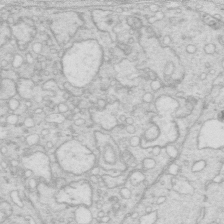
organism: Mouse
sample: Multiciliated cells